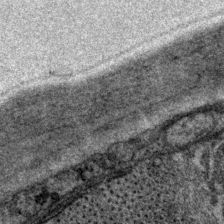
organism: P. pacificus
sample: Pharynx